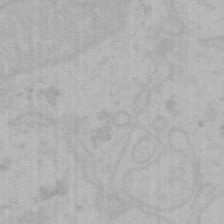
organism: Mouse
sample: Choroid plexus